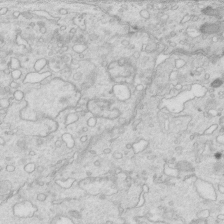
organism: Mouse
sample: Multiciliated cells